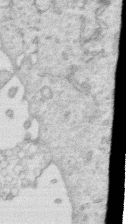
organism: Human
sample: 1205lu cells